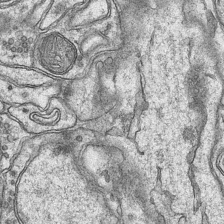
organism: Mouse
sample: CA1 Hippocampus